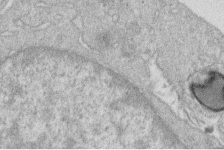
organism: Human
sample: Macrophage cells